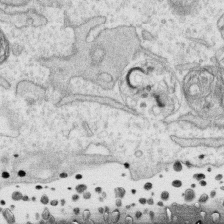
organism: Human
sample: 1205lu cells